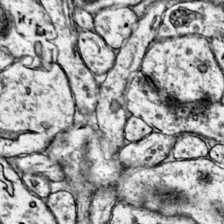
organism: Mouse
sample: Primary visual cortex